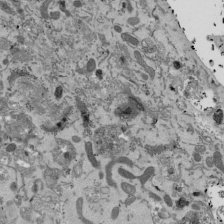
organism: Mouse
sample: ED-1 cell nuclei; centrioles